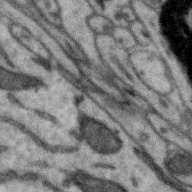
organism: Zebra finch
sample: Brain